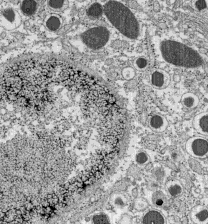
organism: C57BL Mouse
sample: Pancreatic islet